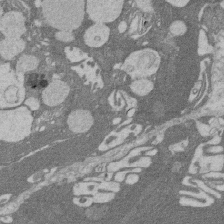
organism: Rat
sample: Salivary granule